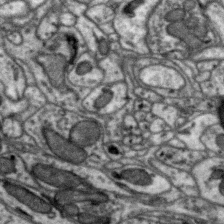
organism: Zebra finch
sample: Brain